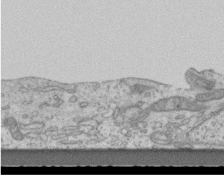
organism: Mouse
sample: Centriole in ependymal cells